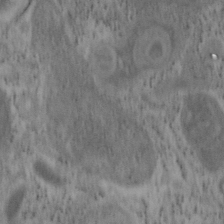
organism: Mouse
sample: OT-I killer T cells with ID8 ovarian cancer cells